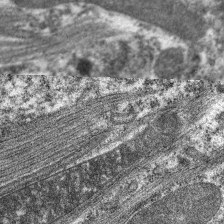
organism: C. elegans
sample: Pharynx